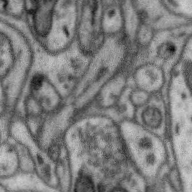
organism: Zebra finch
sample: Brain